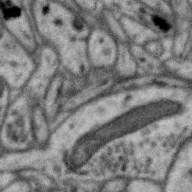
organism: Zebra finch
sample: Brain